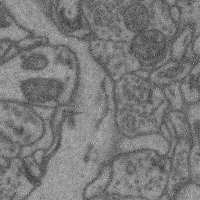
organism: Mouse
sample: Cerebral cortex